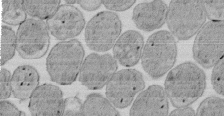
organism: E. coli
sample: Bacterial nucleoid